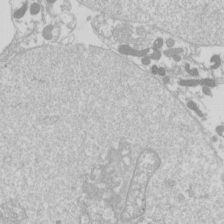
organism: Drosophila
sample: Cell division; meiosis; drosophila spermatocytes